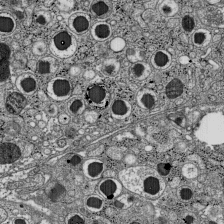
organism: C57BL Mouse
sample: Pancreatic islet